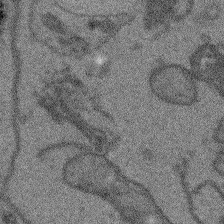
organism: Arabidopsis thaliana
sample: Root tip